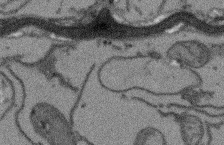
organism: Arabidopsis thaliana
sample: Root tip